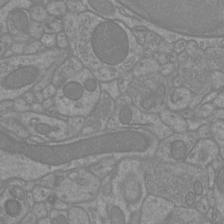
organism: Mouse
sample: Cortical neurons